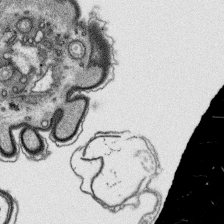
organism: Platynereis dumerilii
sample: Parapodia